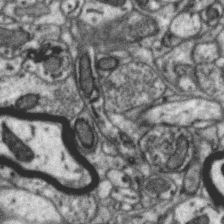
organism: Zebra finch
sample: Brain